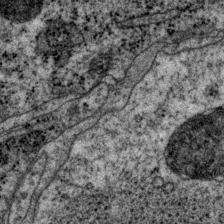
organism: P. pacificus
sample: Pharynx